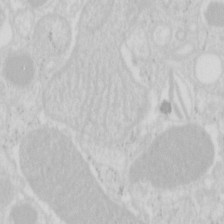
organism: Mouse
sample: Pancreas